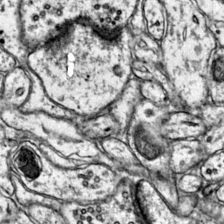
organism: Mouse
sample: Primary visual cortex